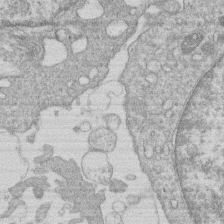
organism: Human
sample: Macrophage cells